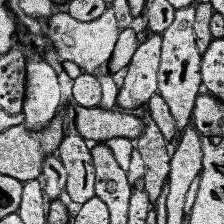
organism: Human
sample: Temporal Lobe